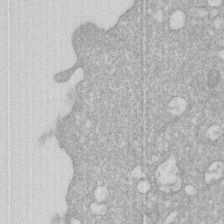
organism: Human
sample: HIV infected U937 cells